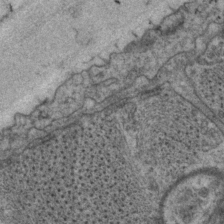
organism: P. pacificus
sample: Pharynx